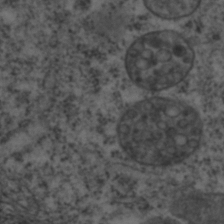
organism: C. elegans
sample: C. elegans embryo